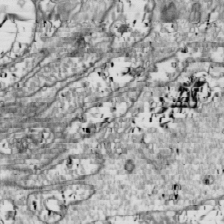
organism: Drosophila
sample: Cell division; meiosis; drosophila spermatocytes